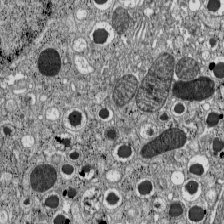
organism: C57BL Mouse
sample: Pancreatic islet